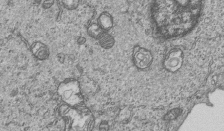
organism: Human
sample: MDA-MB-231 cells